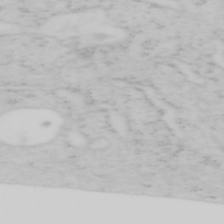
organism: Mouse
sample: OT-I killer T cells with ID8 ovarian cancer cells